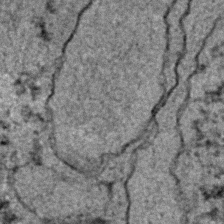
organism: C. elegans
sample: C. elegans embryo